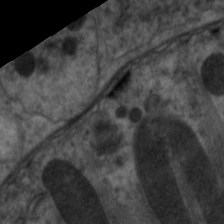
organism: C. elegans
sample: Pharynx